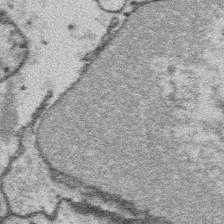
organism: Platynereis dumerilii